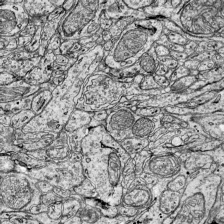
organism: Mouse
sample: Visual Cortex